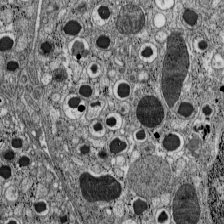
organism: C57BL Mouse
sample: Pancreatic islet